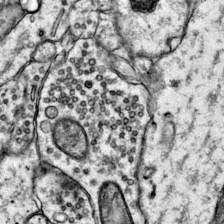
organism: Mouse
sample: Primary visual cortex